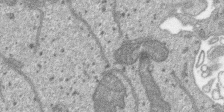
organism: Human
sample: Lung epithelial cells infected with SARS-CoV-2